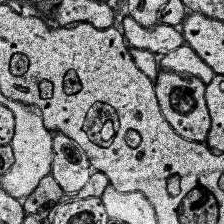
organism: Human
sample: Temporal Lobe